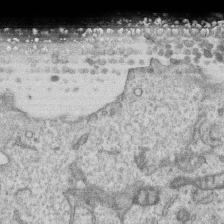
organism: Human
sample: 1205lu cells